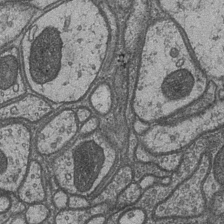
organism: Drosophila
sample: Optic medulla